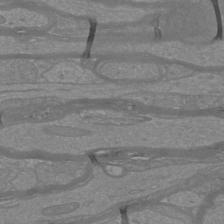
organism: Mouse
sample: Cortical neurons